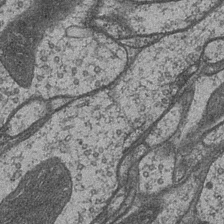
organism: Drosophila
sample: Optic medulla